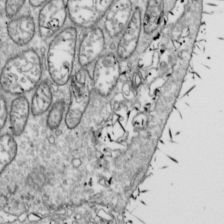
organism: Drosophila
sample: Cell division; meiosis; drosophila spermatocytes